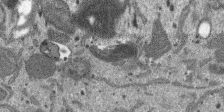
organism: Human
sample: Lung epithelial cells infected with SARS-CoV-2